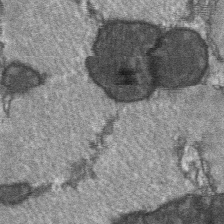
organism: C57BL Mouse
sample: Soleus